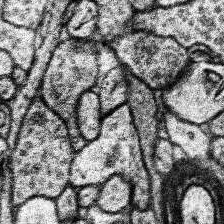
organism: Human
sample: Temporal Lobe